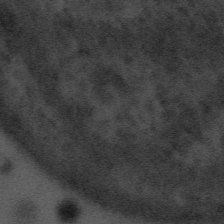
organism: Tuwongella immobilis